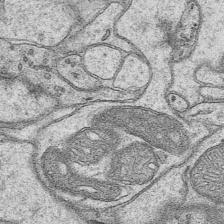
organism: Mouse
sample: CA1 Hippocampus